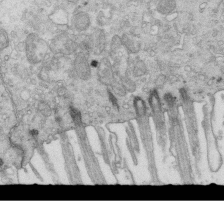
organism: Mouse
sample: Multiciliated cells